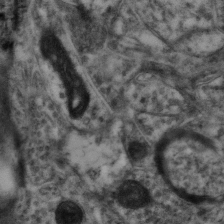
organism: Mouse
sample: Neocortex